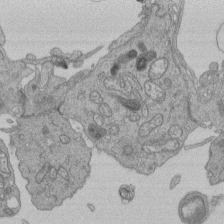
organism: Human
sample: Retinal organoid Rod and Cone cells